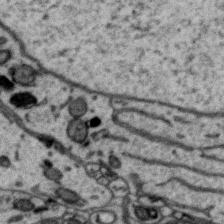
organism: Zebra finch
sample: Brain